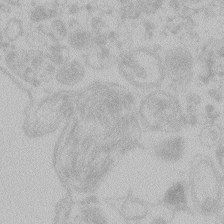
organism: Zebrafish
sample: Macrophage infected with Toxoplasma gondii